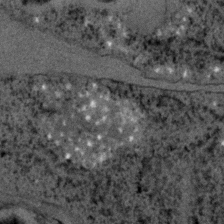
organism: C. elegans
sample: C. elegans embryo